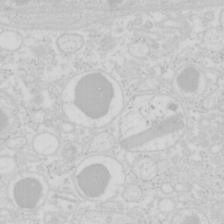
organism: Mouse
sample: Pancreas